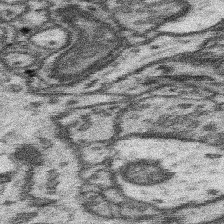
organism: Mouse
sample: Somatosensory cortex neuropil